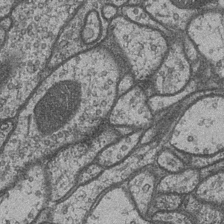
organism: Drosophila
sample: Optic medulla